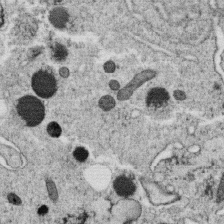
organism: C. elegans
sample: C. elegans oocyte; sperm cells